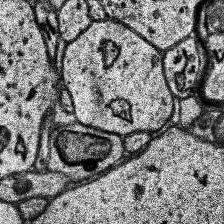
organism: Human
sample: Temporal Lobe